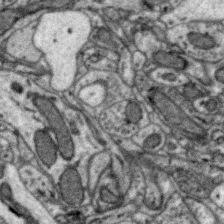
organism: Zebra finch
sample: Brain